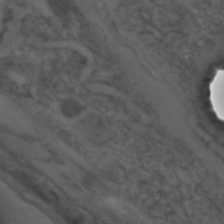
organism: C. elegans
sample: C. elegans embryo